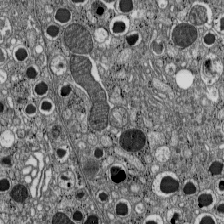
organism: C57BL Mouse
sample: Pancreatic islet